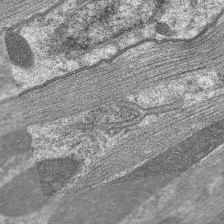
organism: C. elegans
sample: Pharynx